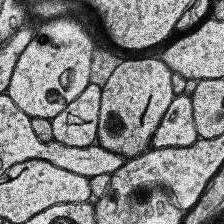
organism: Human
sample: Temporal Lobe